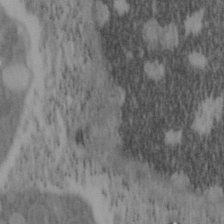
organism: Mouse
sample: OT-I killer T cells with ID8 ovarian cancer cells